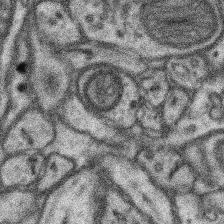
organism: Mouse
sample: Somatosensory cortex neuropil